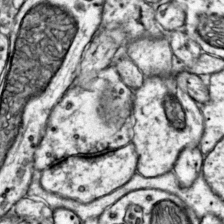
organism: Mouse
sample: Primary visual cortex